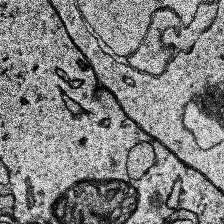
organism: Human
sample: Temporal Lobe